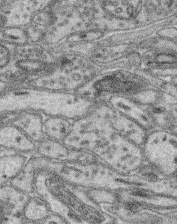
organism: Mouse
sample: Retina